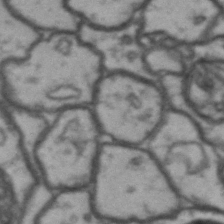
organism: Drosophila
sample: Brain